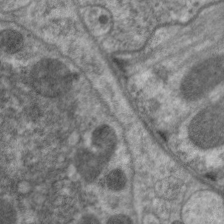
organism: C. elegans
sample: Pharynx